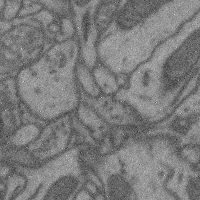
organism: Mouse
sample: Cerebral cortex